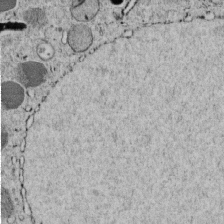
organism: C. elegans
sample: C. elegans embryo early stage